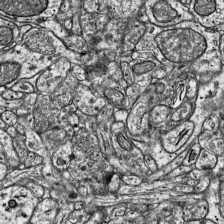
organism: Mouse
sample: Visual Cortex